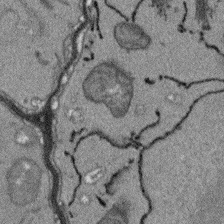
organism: Arabidopsis thaliana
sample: Root tip